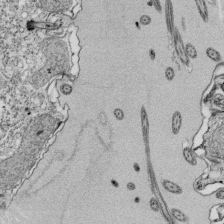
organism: Tetrahymena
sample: Cilia in tetrahymena